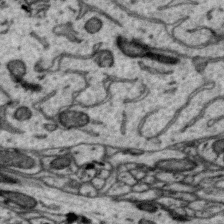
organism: Zebra finch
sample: Brain